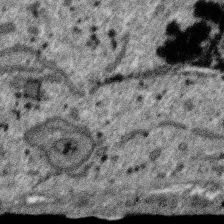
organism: Human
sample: Lung epithelial cells infected with SARS-CoV-2